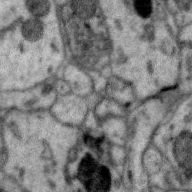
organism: Zebra finch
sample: Brain